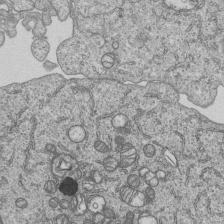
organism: Human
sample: MDA-MB-231 cells